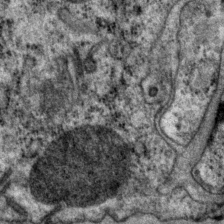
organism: P. pacificus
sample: Pharynx